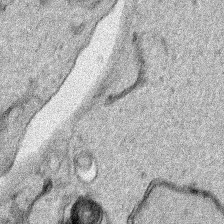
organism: Human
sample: Mitochondria in HCT116 cells